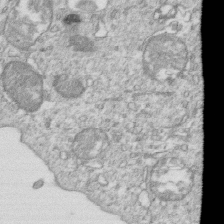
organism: Mouse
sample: Activated OT-1 CD8+ T cells